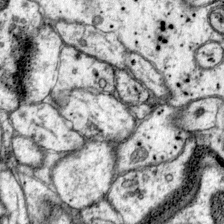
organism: Mouse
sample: Primary visual cortex